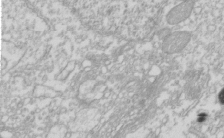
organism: Xenopus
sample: Cilia; centrioles in frog embryo cells